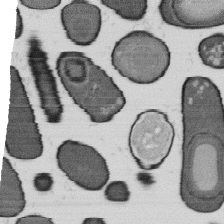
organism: B. subtilis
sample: Bacterial spore